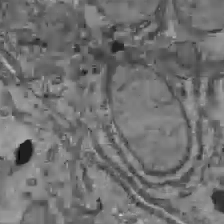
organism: C57BL Mouse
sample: Liver